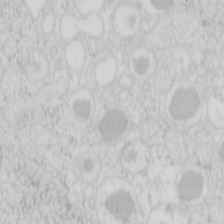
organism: Mouse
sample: Pancreas